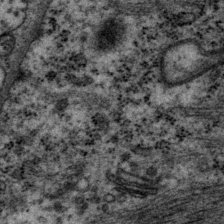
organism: P. pacificus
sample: Pharynx